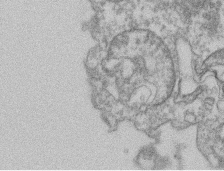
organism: Mouse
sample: T cell stromal cell synapse